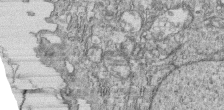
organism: Human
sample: HeLa cell HIV synapse